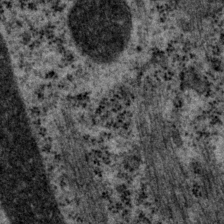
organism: P. pacificus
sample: Pharynx